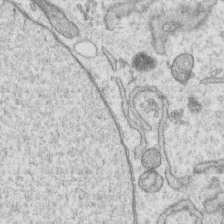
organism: Human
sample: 1205lu cells